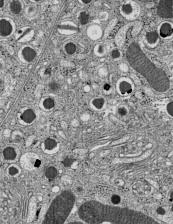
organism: C57BL Mouse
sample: Pancreatic islet